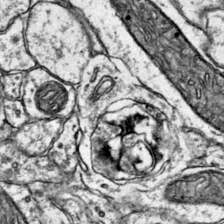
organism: Mouse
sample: Primary visual cortex